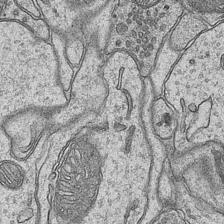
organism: Mouse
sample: CA1 Hippocampus